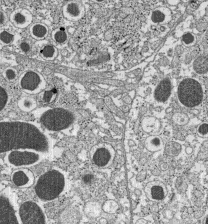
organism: C57BL Mouse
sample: Pancreatic islet